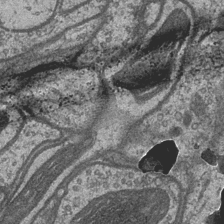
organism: Drosophila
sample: Optic medulla